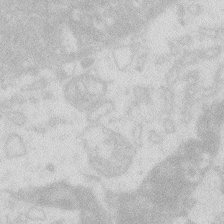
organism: Zebrafish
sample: Macrophage